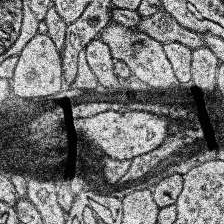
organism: Human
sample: Temporal Lobe